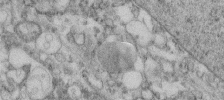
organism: Human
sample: Centriole in fibroblast cells